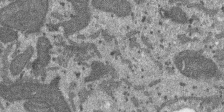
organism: Human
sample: Lung epithelial cells infected with SARS-CoV-2